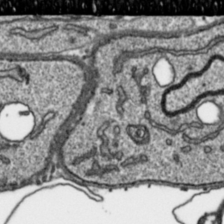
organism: Toxoplasma gondii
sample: Parasites in a vacuole inside a host cell